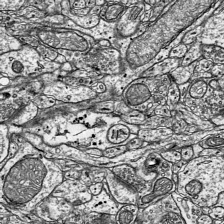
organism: Mouse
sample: Visual Cortex